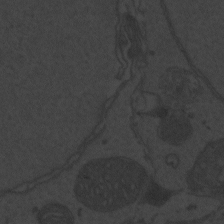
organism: Zebrafish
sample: Macrophage infected with Toxoplasma gondii